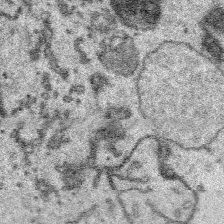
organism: Platynereis dumerilii